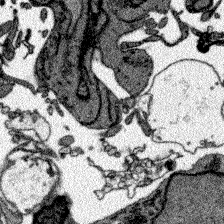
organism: Zebrafish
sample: Larval olfactory bulb